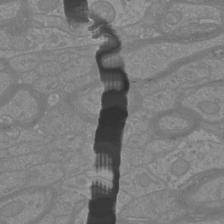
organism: Mouse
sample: Cortical neurons